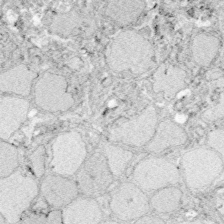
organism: Zebrafish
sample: Whole-Brain